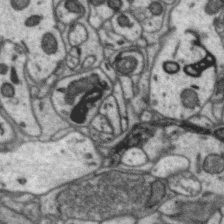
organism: Zebra finch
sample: Brain